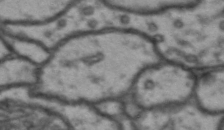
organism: Drosophila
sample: Brain